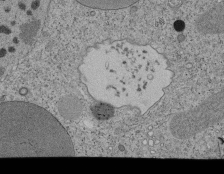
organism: Tetrahymena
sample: Cilia in tetrahymena